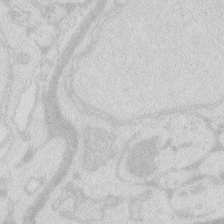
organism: Zebrafish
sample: Macrophage